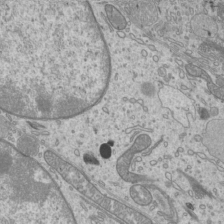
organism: Mouse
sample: Cilia; mouse epididymis